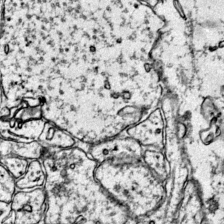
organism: Mouse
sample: Primary visual cortex